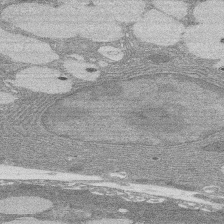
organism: Rat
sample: Salivary granule